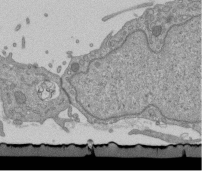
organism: Mouse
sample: ED-1 cell nuclei; centrioles